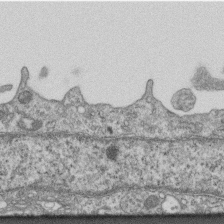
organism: Mouse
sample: Centriole in ependymal cells